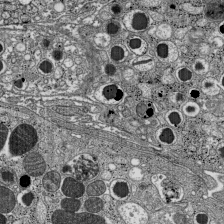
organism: C57BL Mouse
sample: Pancreatic islet